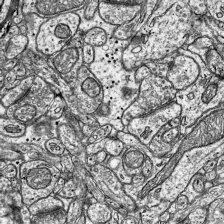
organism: Mouse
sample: Visual Cortex